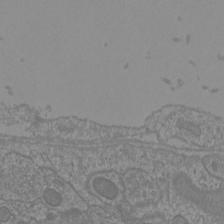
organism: Mouse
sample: Cortical neurons